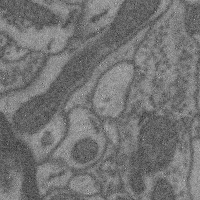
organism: Mouse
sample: Cerebral cortex